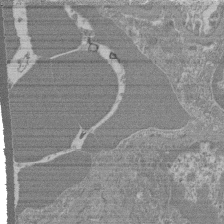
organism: Mouse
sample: Glomerulus